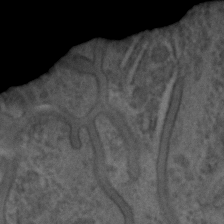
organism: C. elegans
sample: C. elegans embryo